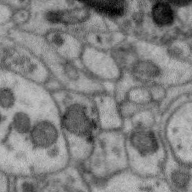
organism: Zebra finch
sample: Brain